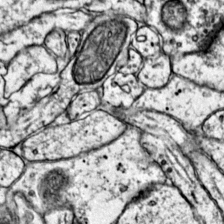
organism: Mouse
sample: Primary visual cortex